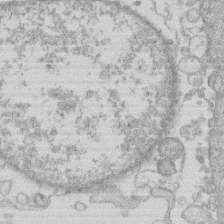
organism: Human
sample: Macrophage cells